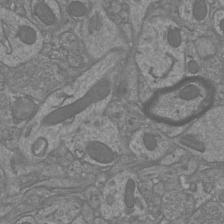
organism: Mouse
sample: Cortical neurons